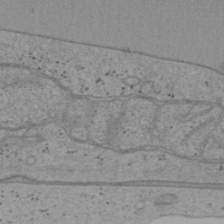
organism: Human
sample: HeLa cells